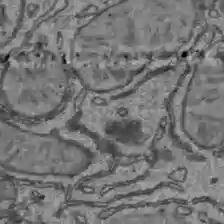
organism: C57BL Mouse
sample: Liver